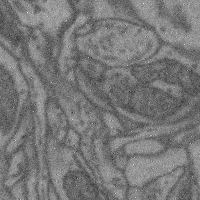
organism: Mouse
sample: Cerebral cortex